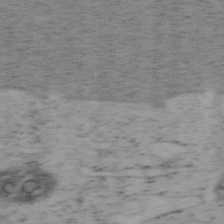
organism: Mouse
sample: OT-I killer T cells with ID8 ovarian cancer cells